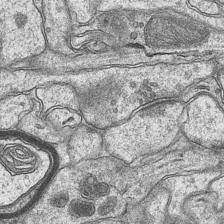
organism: Mouse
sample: CA1 Hippocampus